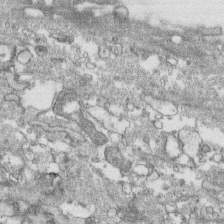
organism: Human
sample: CRL-1474